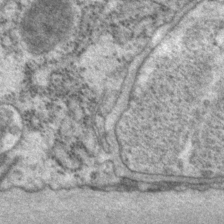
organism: P. pacificus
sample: Pharynx